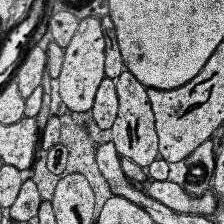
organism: Human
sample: Temporal Lobe